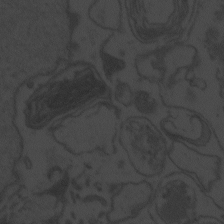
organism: Zebrafish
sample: Macrophage infected with Toxoplasma gondii